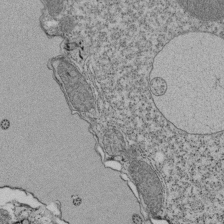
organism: Tetrahymena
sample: Cilia in tetrahymena